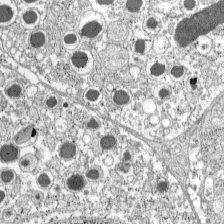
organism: C57BL Mouse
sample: Pancreatic islet